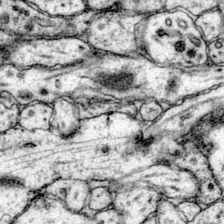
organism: Mouse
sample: Primary visual cortex